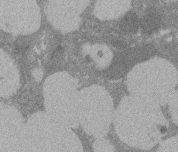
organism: Rat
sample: Salivary granule